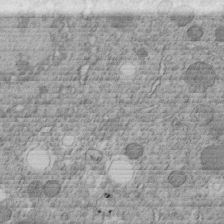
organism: C. elegans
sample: C. elegans embryo early stage